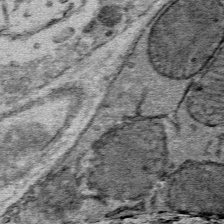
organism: Mouse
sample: Mouse Salivary gland